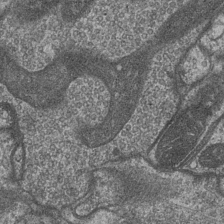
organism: Drosophila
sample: Optic medulla